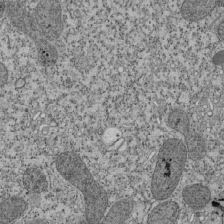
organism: Tetrahymena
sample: Cilia in tetrahymena